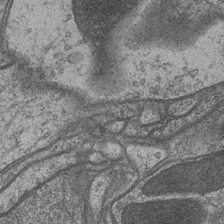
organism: Drosophila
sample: Optic medulla